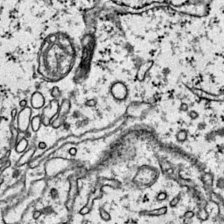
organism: Mouse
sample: Primary visual cortex